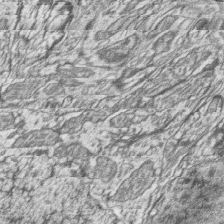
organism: Zebrafish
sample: synaptic ribbons in rod cells and cone cells